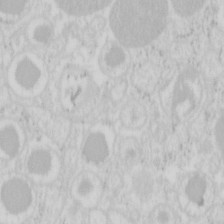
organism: Mouse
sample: Pancreas